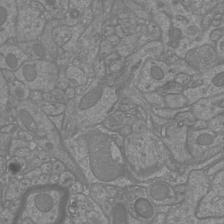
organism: Mouse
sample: Cortical neurons